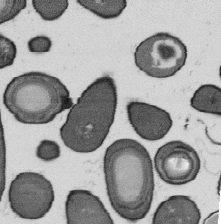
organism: B. subtilis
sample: Bacterial spore